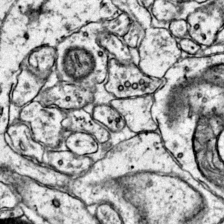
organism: Mouse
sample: Primary visual cortex